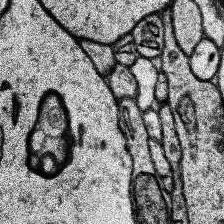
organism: Human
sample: Temporal Lobe